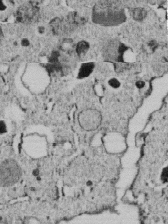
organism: C. elegans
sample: C. elegans embryo early stage